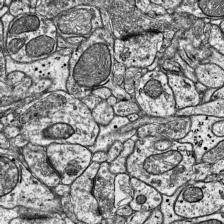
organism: Mouse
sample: Visual Cortex